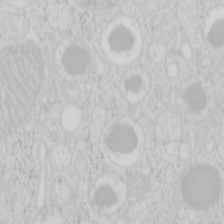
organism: Mouse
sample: Pancreas